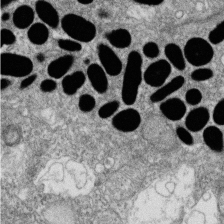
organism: Zebrafish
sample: Cilia; retinal pigment epithelium